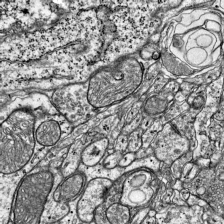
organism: Mouse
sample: Visual Cortex